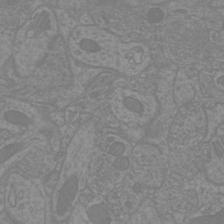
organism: Mouse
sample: Cortical neurons